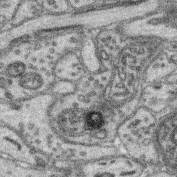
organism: Mouse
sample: Retina